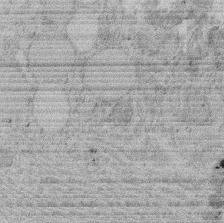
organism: Rat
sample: Salivary granule